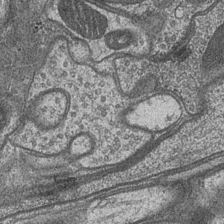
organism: Drosophila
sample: Optic medulla